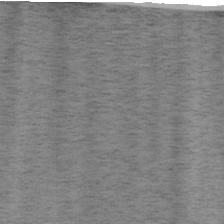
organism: Mouse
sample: OT-I killer T cells with ID8 ovarian cancer cells